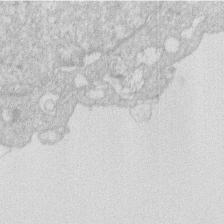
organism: Human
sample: Macrophage cells